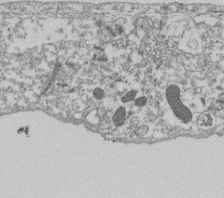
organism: Dictyostelium discoideum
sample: Dictyostelium multivesicular bodies